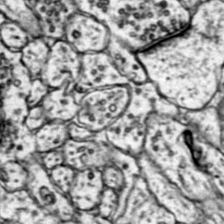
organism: Mouse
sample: Primary visual cortex